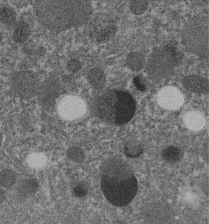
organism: C. elegans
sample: C. elegans embryo early stage